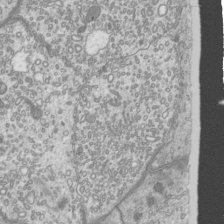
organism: Mouse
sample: Cilia; mouse epididymis